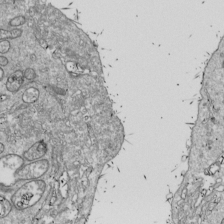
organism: Drosophila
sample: Cell division; meiosis; drosophila spermatocytes